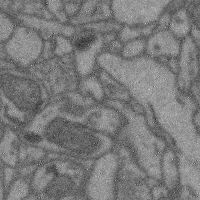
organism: Mouse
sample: Cerebral cortex